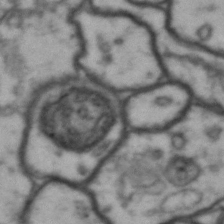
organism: Drosophila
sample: Brain